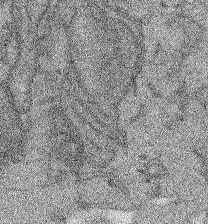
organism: Human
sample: HeLa cells